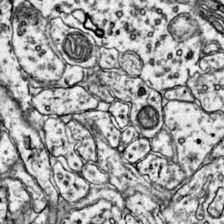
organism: Mouse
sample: Primary visual cortex